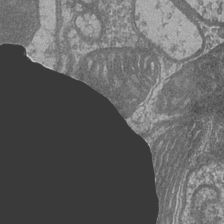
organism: Drosophila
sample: Optic medulla